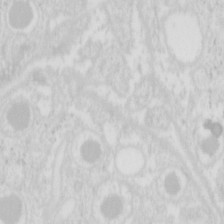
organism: Mouse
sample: Pancreas